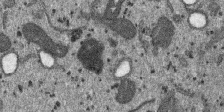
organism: Human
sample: Lung epithelial cells infected with SARS-CoV-2